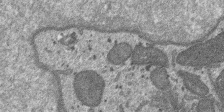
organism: Human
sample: Lung epithelial cells infected with SARS-CoV-2